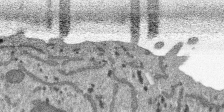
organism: Human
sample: Lung epithelial cells infected with SARS-CoV-2